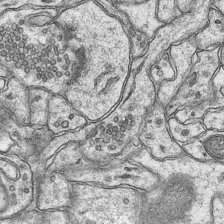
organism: Mouse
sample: CA1 Hippocampus